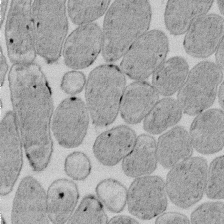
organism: E. coli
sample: Bacterial nucleoid